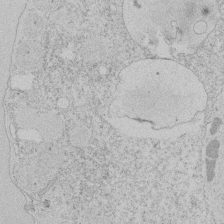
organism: Tetrahymena